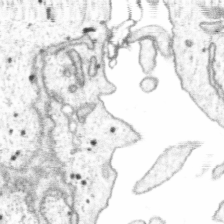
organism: Human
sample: HeLa cells